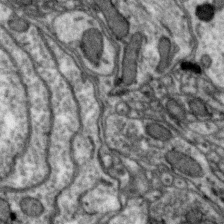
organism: Zebra finch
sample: Brain